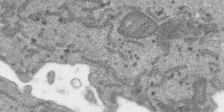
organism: Human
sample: Lung epithelial cells infected with SARS-CoV-2